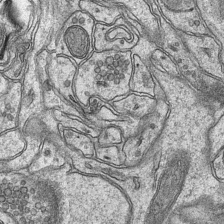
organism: Mouse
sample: CA1 Hippocampus